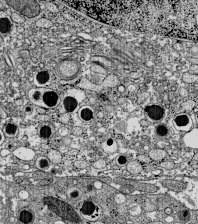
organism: C57BL Mouse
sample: Pancreatic islet